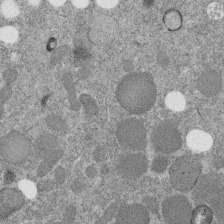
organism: C. elegans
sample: C. elegans embryo early stage